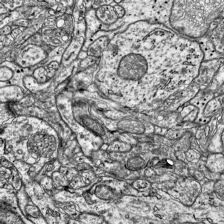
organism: Mouse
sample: Visual Cortex